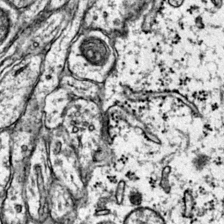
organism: Mouse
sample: Primary visual cortex